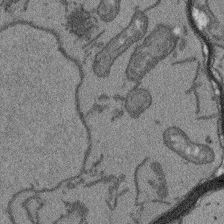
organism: Arabidopsis thaliana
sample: Root tip